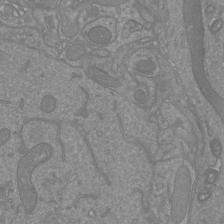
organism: Mouse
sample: Cortical neurons